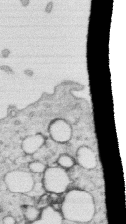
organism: Human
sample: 1205lu cells